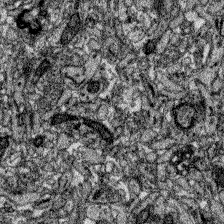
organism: Zebrafish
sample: Larval olfactory bulb